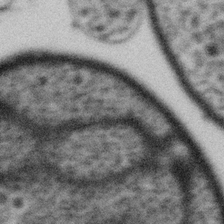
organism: Gemmata obscuriglobus